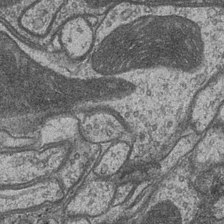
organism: Drosophila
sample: Optic medulla